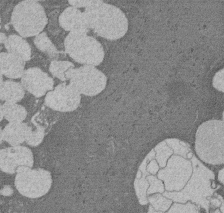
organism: Rat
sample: Salivary granule